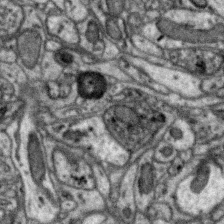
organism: Zebra finch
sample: Brain